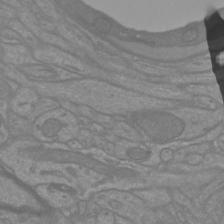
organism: Mouse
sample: Cortical neurons